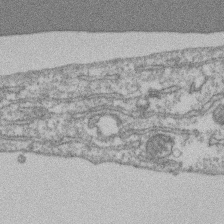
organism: Mouse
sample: T cell stromal cell synapse